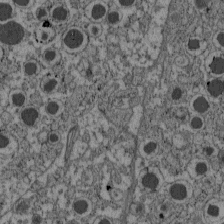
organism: C57BL Mouse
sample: Pancreatic islet